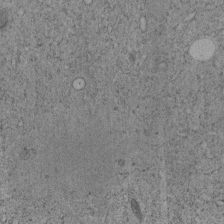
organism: C. elegans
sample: C. elegans embryo early stage